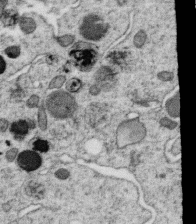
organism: C. elegans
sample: C. elegans oocyte; sperm cells